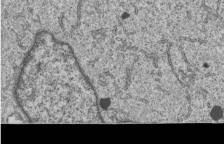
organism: Human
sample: MDA-MB-231 cells